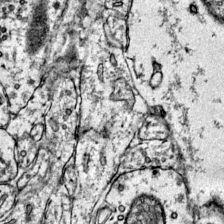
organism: Mouse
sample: Primary visual cortex